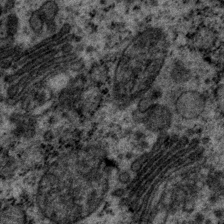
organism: P. pacificus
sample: Pharynx